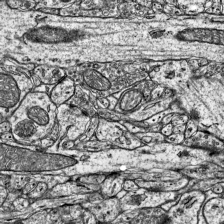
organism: Mouse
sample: Visual Cortex